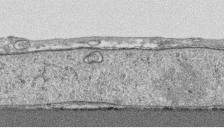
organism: Human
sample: CRL-1474